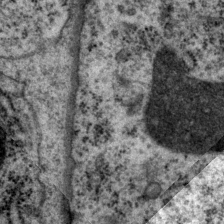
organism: P. pacificus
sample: Pharynx